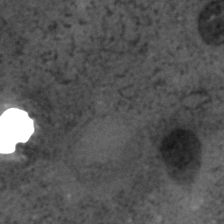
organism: C. elegans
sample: C. elegans embryo